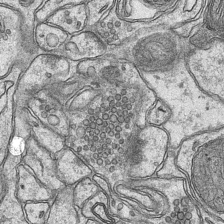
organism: Mouse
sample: CA1 Hippocampus